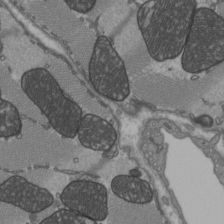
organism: C57BL Mouse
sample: Heart